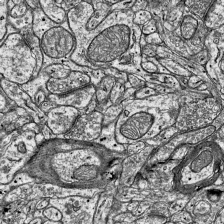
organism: Mouse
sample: Visual Cortex